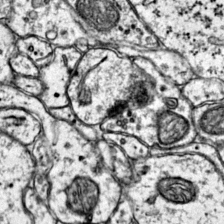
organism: Mouse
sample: Primary visual cortex